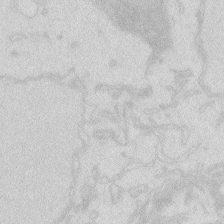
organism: Zebrafish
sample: Macrophage